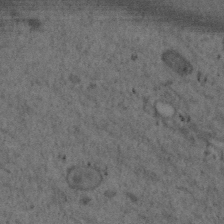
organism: Human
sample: HeLa cells